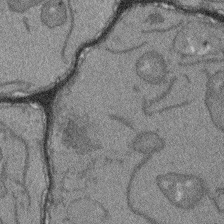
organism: Arabidopsis thaliana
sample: Root tip